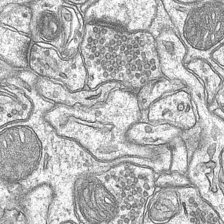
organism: Mouse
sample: CA1 Hippocampus